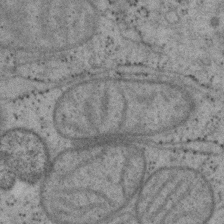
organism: Human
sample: HeLa cells